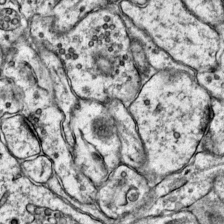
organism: Mouse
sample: Primary visual cortex